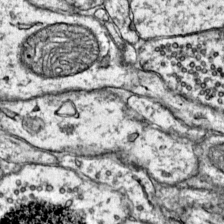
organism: Mouse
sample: Primary visual cortex